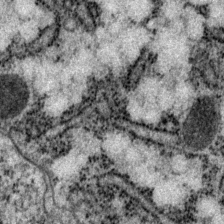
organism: P. pacificus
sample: Pharynx